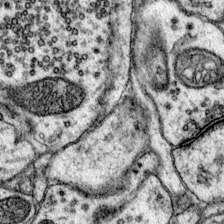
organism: Mouse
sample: Primary visual cortex